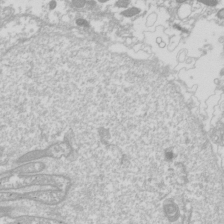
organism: Drosophila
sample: Cell division; meiosis; drosophila spermatocytes